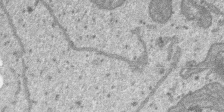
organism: Human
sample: Lung epithelial cells infected with SARS-CoV-2